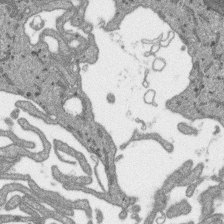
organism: Human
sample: Lung epithelial cells infected with SARS-CoV-2